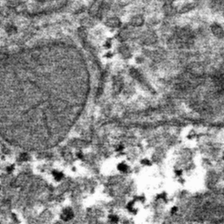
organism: Mouse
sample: Mouse hepatocytes